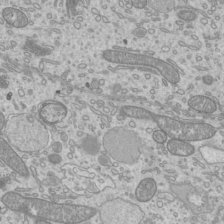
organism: Mouse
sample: Cilia; mouse epididymis